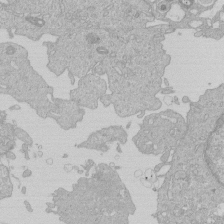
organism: Human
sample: Macrophage cells